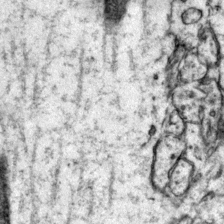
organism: Mouse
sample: Primary visual cortex